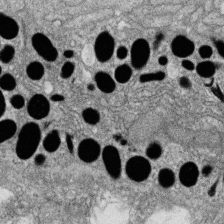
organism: Zebrafish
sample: Cilia; retinal pigment epithelium